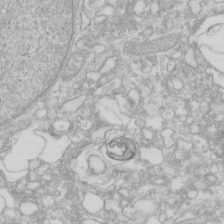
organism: Human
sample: Fibroblast cells